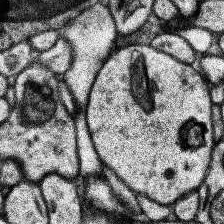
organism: Human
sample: Temporal Lobe